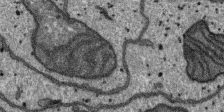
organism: Human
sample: Lung epithelial cells, uninfected (mock) control